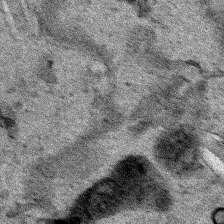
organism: Human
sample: Mitochondria in HCT116 cells